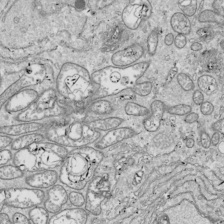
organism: Drosophila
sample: Cell division; meiosis; drosophila spermatocytes